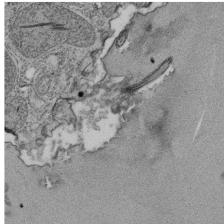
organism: Tetrahymena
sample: Cilia in tetrahymena